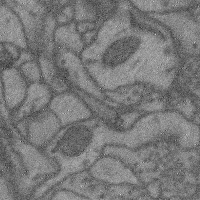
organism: Mouse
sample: Cerebral cortex